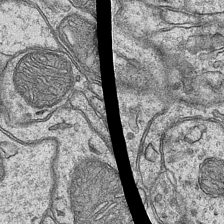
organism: Mouse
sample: CA1 Hippocampus